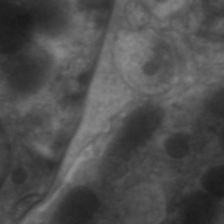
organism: C. elegans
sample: Pharynx